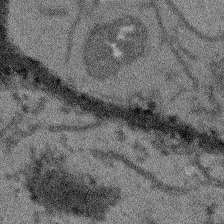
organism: Arabidopsis thaliana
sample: Root tip